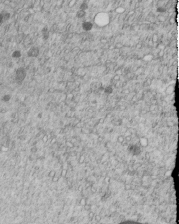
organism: C. elegans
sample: C. elegans embryo early stage